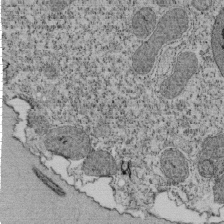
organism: Tetrahymena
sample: Cilia in tetrahymena